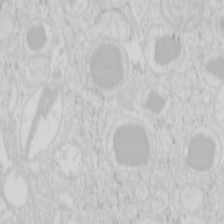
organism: Mouse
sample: Pancreas